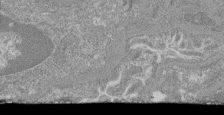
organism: Mouse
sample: Glomerulus